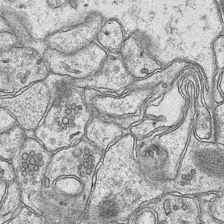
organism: Mouse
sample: CA1 Hippocampus